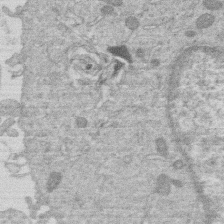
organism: Human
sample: Macrophage cells